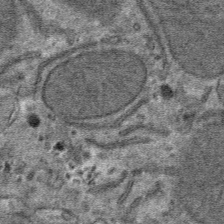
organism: Mouse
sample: Mouse hepatocytes